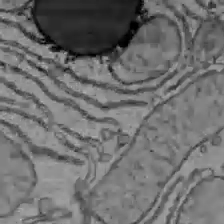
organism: C57BL Mouse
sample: Liver